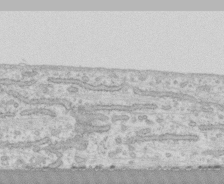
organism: Human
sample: CRL-1474